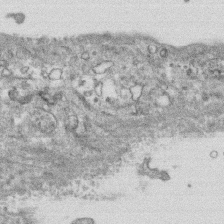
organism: Human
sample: CRL-1474